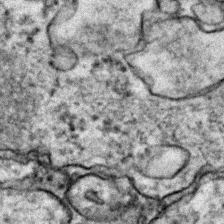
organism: Zebrafish